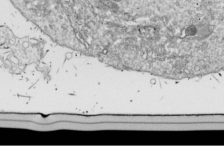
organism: Drosophila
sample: Cell division; meiosis; drosophila spermatocytes